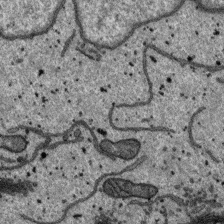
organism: Human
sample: Lung epithelial cells, uninfected (mock) control